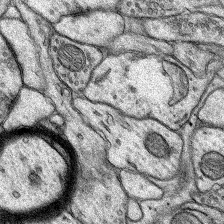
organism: Rat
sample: Hippocampus